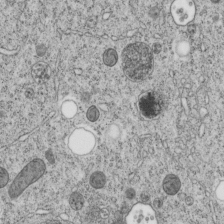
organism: C. elegans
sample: C. elegans embryo early stage